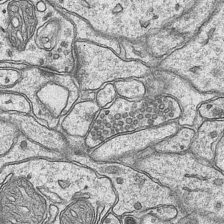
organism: Mouse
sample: CA1 Hippocampus